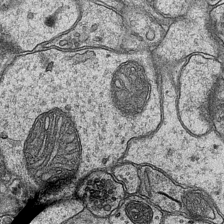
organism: Mouse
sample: CA1 Hippocampus